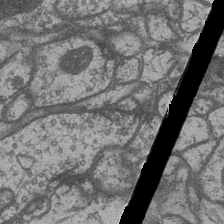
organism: Drosophila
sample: Optic medulla